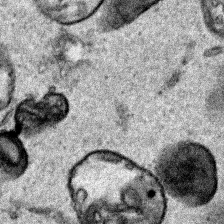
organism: Human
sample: Mitochondria in HCT116 cells